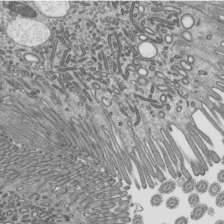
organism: Mouse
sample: Mouse epididymis efferent ductule cilia